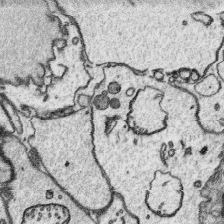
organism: Platynereis dumerilii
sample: Parapodia